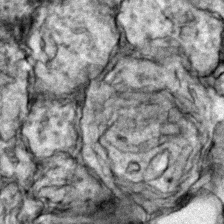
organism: Zebrafish